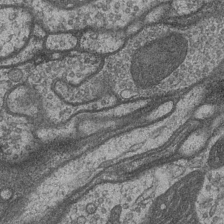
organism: Drosophila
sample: Optic medulla